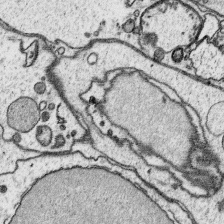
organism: Platynereis dumerilii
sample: Parapodia